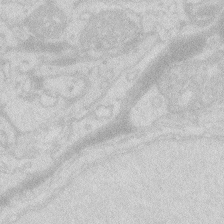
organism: Zebrafish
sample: Macrophage